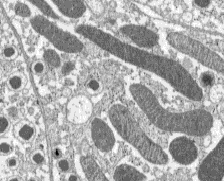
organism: C57BL Mouse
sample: Pancreatic islet